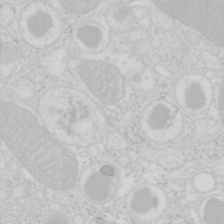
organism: Mouse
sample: Pancreas